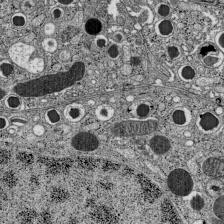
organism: C57BL Mouse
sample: Pancreatic islet